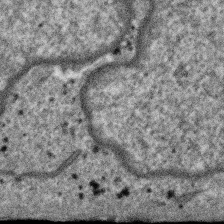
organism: Human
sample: Lung epithelial cells infected with SARS-CoV-2